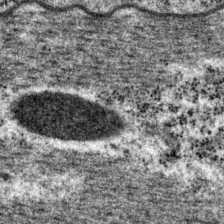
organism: P. pacificus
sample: Pharynx